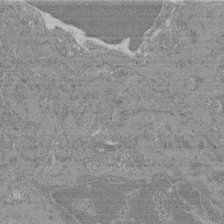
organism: Mouse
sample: Glomerulus